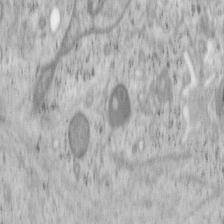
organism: Human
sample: HeLa cells